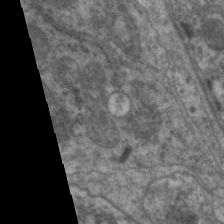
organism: C. elegans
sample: Pharynx